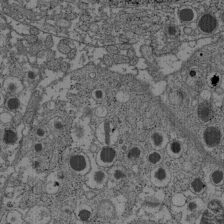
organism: C57BL Mouse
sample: Pancreatic islet